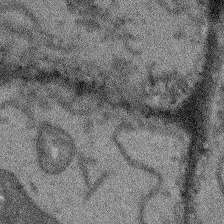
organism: Arabidopsis thaliana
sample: Root tip